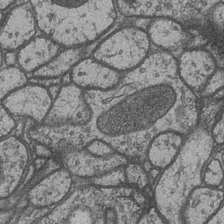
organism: Drosophila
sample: Optic medulla